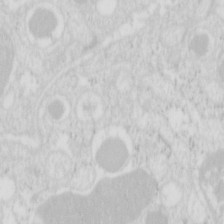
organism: Mouse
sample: Pancreas